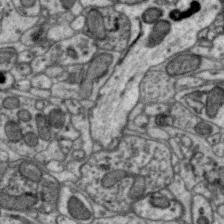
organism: Zebra finch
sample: Brain